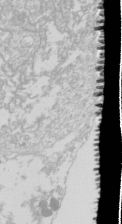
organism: Drosophila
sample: Cell division; meiosis; drosophila spermatocytes